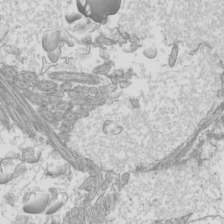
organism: Mouse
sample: Cilia; mouse epididymis